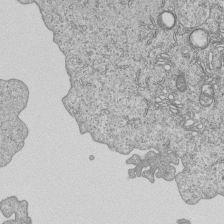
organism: Human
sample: MDA-MB-231 cells